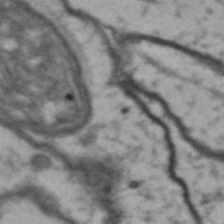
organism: Drosophila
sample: Brain